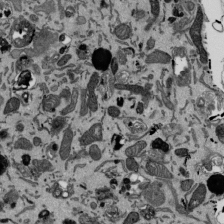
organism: Mouse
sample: ED-1 cell nuclei; centrioles